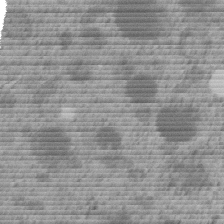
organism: C. elegans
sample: C. elegans embryo early stage